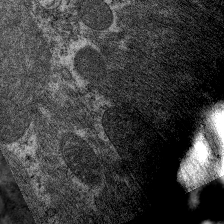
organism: C. elegans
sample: Pharynx